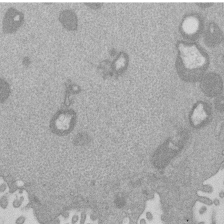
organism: Mouse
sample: Dividing mouse embryo 1 cell stage